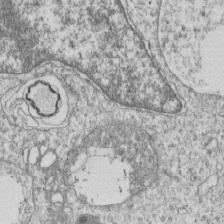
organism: Human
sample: MDA-MB-231 cells